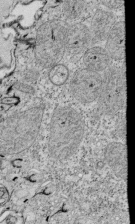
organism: Tetrahymena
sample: Cilia in tetrahymena